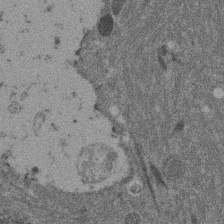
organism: Mouse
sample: Dividing mouse embryo 1 cell stage